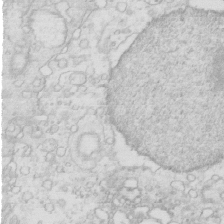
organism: Mouse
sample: Multiciliated cells